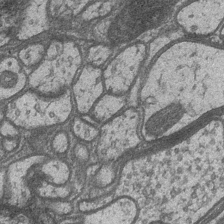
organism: Drosophila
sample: Optic medulla